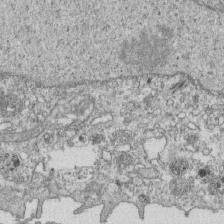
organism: Human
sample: HeLa cell HIV synapse